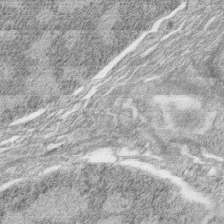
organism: Zebrafish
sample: synaptic ribbons in rod cells and cone cells